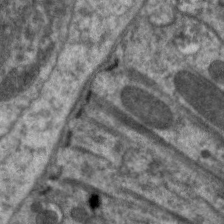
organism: C. elegans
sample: Pharynx